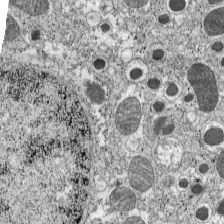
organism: C57BL Mouse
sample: Pancreatic islet